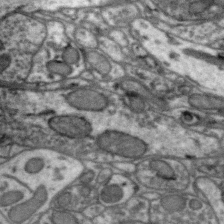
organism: Zebra finch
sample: Brain